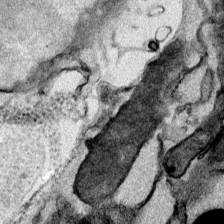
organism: Mouse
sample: Cancer cell death in ED-1 cells